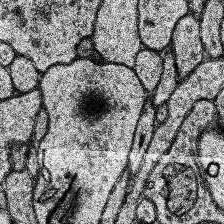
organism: Human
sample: Temporal Lobe